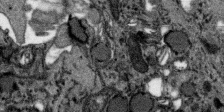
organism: Human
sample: Lung epithelial cells, uninfected (mock) control